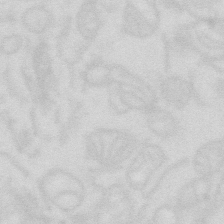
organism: Human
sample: HeLa cells